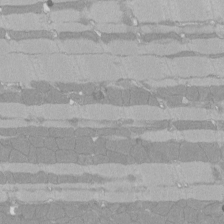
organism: Rat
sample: Left ventricle